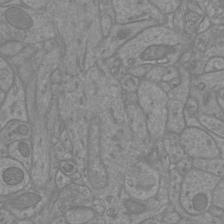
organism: Mouse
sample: Cortical neurons